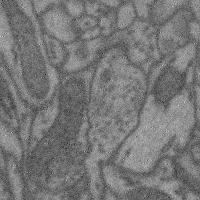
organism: Mouse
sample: Cerebral cortex